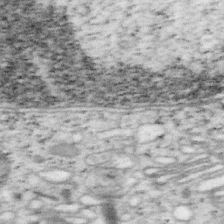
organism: Mouse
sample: OT-I killer T cells with ID8 ovarian cancer cells